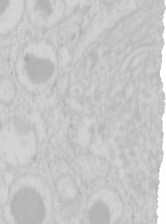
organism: Mouse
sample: Pancreas